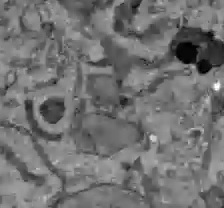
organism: C57BL Mouse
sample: Liver